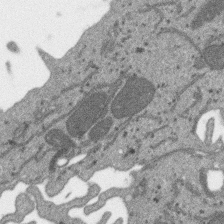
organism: Human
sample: Lung epithelial cells infected with SARS-CoV-2